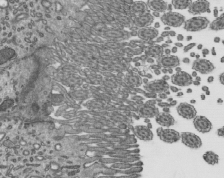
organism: Mouse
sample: Mouse epididymis efferent ductule cilia